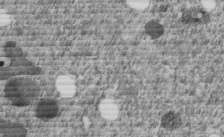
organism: C. elegans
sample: C. elegans embryo early stage